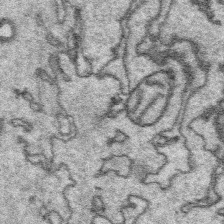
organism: Platynereis dumerilii